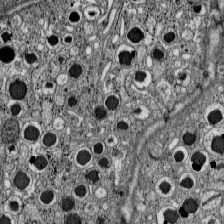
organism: C57BL Mouse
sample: Pancreatic islet